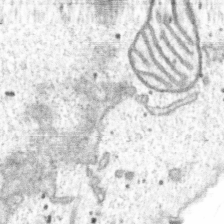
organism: Human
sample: HeLa cells